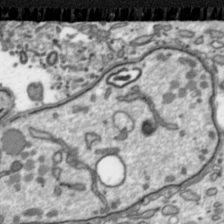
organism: Toxoplasma gondii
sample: Parasites in a vacuole inside a host cell